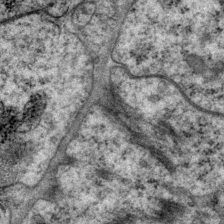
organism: P. pacificus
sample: Pharynx